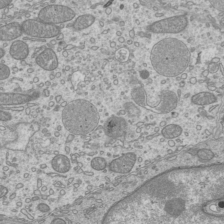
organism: Mouse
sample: Cilia; mouse epididymis